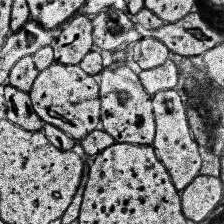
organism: Human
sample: Temporal Lobe